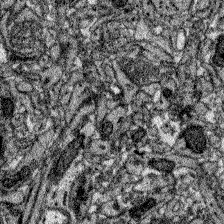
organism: Zebrafish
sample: Larval olfactory bulb